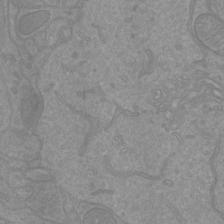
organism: Mouse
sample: Cortical neurons